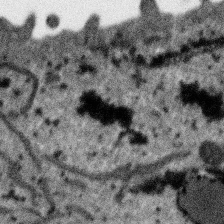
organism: Human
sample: Lung epithelial cells infected with SARS-CoV-2